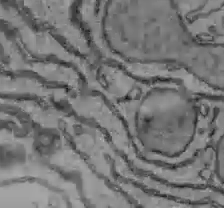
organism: C57BL Mouse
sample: Liver